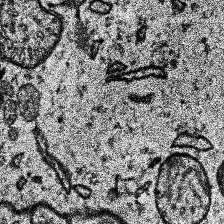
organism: Human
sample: Temporal Lobe